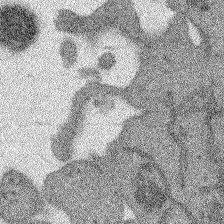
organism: Human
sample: HeLa cells